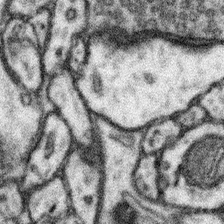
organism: Mouse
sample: Somatosensory cortex neuropil